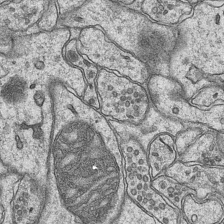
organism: Mouse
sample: CA1 Hippocampus